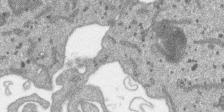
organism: Human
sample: Lung epithelial cells infected with SARS-CoV-2